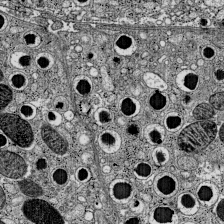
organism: C57BL Mouse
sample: Pancreatic islet